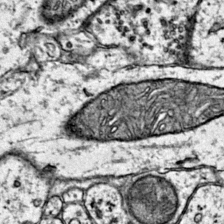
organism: Mouse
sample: Primary visual cortex